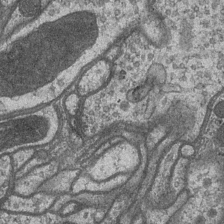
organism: Drosophila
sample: Optic medulla